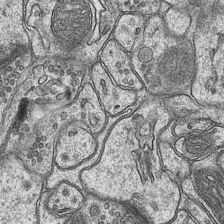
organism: Mouse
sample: CA1 Hippocampus